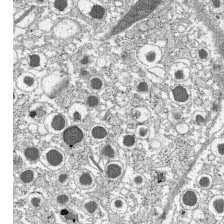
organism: C57BL Mouse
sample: Pancreatic islet